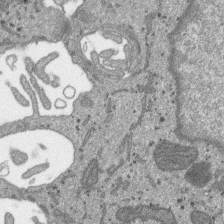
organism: Human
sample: Lung epithelial cells infected with SARS-CoV-2